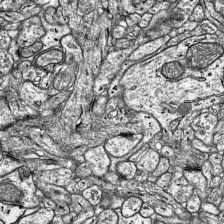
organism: Mouse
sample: Visual Cortex